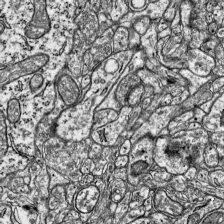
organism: Mouse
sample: Visual Cortex